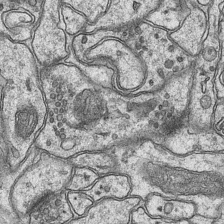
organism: Mouse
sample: CA1 Hippocampus